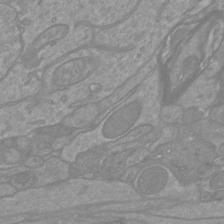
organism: Mouse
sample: Cortical neurons